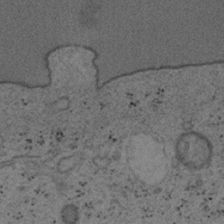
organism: Human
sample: HeLa cells